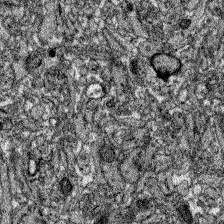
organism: Zebrafish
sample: Larval olfactory bulb